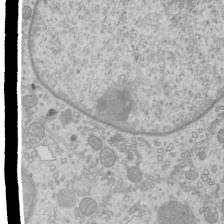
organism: Mouse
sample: Cilia; mouse epididymis